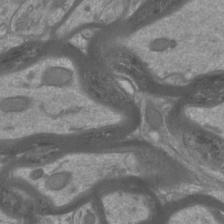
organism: Mouse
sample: Cortical neurons